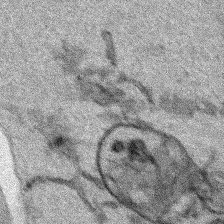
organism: Human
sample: Mitochondria in HCT116 cells